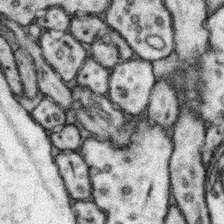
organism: Mouse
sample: Somatosensory cortex neuropil